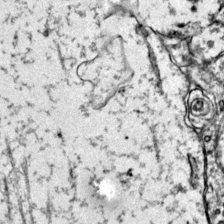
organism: Mouse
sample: Primary visual cortex